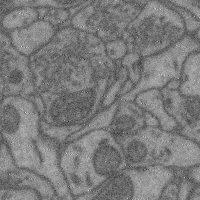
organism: Mouse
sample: Cerebral cortex